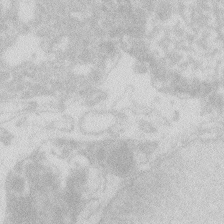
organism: Zebrafish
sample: Macrophage